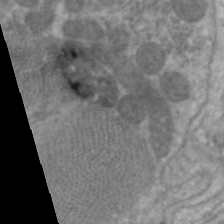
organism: C. elegans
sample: Pharynx